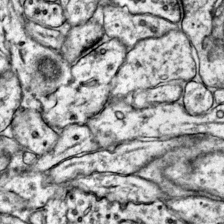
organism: Mouse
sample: Primary visual cortex